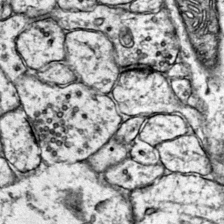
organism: Mouse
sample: Primary visual cortex